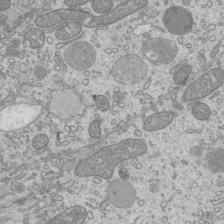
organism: Mouse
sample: Cilia; mouse epididymis